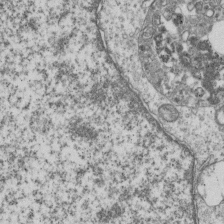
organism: Human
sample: MDA-MB-231 cells